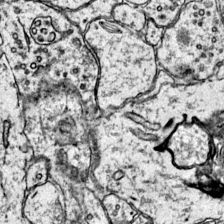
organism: Mouse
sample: Primary visual cortex